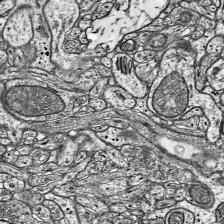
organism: Mouse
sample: Visual Cortex